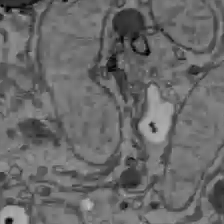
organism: C57BL Mouse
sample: Liver